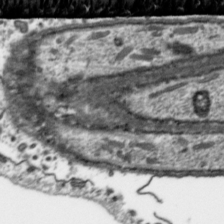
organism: Toxoplasma gondii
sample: Parasites in a vacuole inside a host cell